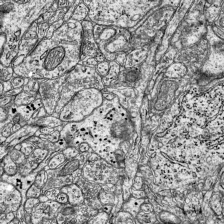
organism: Mouse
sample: Visual Cortex